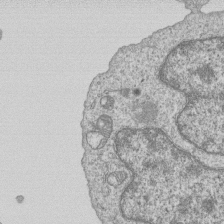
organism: Human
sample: MDA-MB-231 cells